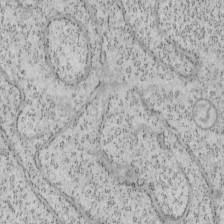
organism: Mouse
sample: OT-I killer T cells with ID8 ovarian cancer cells